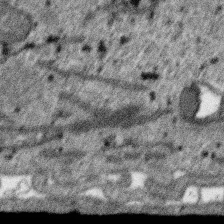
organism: Human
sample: Lung epithelial cells infected with SARS-CoV-2